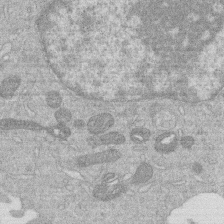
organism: Human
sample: Macrophage cells